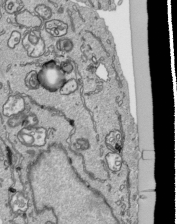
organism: Human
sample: Mitochondria in HCT116 cells